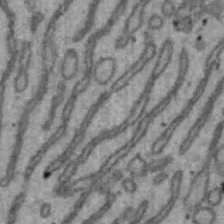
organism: Mouse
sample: Liver